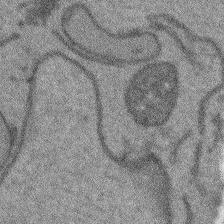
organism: Arabidopsis thaliana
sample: Root tip